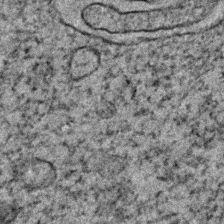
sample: Trachea